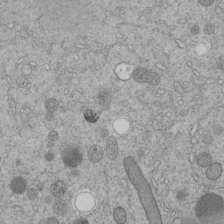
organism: C. elegans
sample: C. elegans embryo early stage